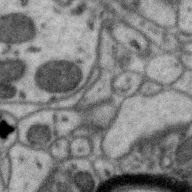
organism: Zebra finch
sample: Brain